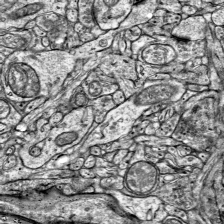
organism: Mouse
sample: Visual Cortex